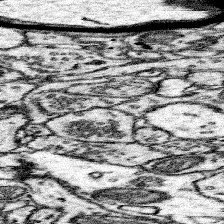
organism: Mouse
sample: Somatosensory cortex neuropil